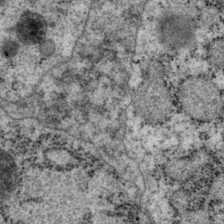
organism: P. pacificus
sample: Pharynx